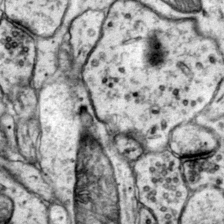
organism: Mouse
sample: Primary visual cortex